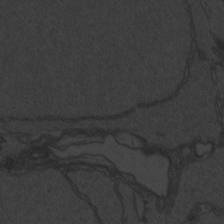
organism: Zebrafish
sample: Macrophage infected with Toxoplasma gondii